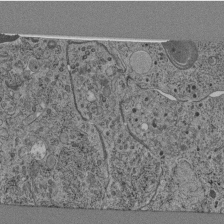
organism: C. elegans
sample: C. elegans pharynx